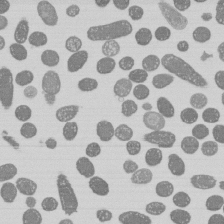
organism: E. coli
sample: Bacterial nucleoid